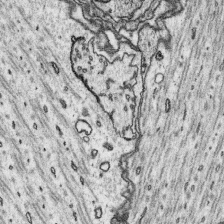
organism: Platynereis dumerilii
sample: Parapodia